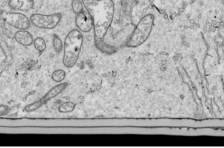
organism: Drosophila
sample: Cell division; meiosis; drosophila spermatocytes